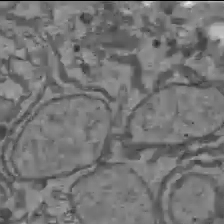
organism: C57BL Mouse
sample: Liver